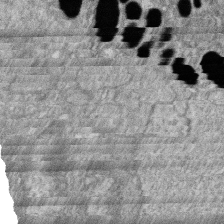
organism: Zebrafish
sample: Cilia; retinal pigment epithelium